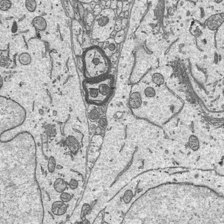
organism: Mouse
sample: Suprachiasmatic nucleus